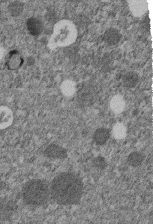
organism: C. elegans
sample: C. elegans embryo early stage